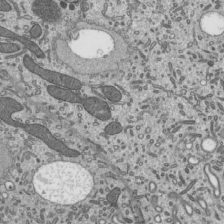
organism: Mouse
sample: Mouse epididymis efferent ductule cilia